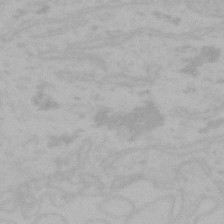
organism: Mouse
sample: Choroid plexus